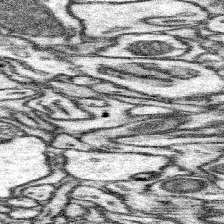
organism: Mouse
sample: Somatosensory cortex neuropil